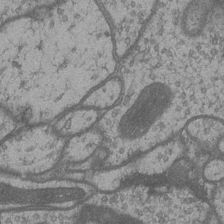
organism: Drosophila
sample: Optic medulla